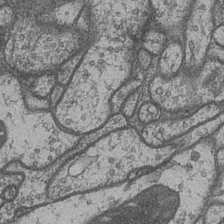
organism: Drosophila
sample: Optic medulla